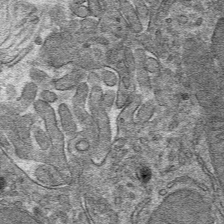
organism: Mouse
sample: Mouse hepatocytes